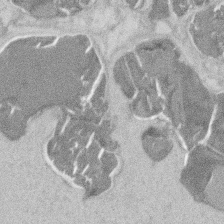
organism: Mouse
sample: T cell stromal cell synapse